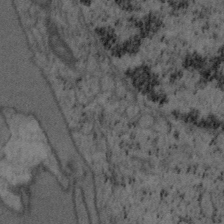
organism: Human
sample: HeLa cells